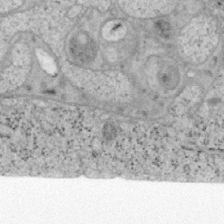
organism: Mouse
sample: OT-I killer T cells with ID8 ovarian cancer cells